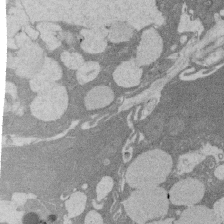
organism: Rat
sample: Salivary granule